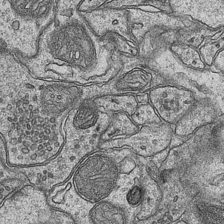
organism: Mouse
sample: CA1 Hippocampus